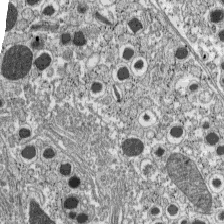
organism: C57BL Mouse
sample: Pancreatic islet